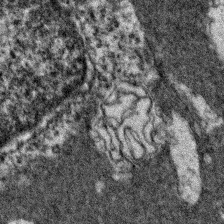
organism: Zebrafish